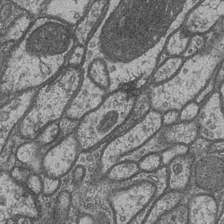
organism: Drosophila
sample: Optic medulla